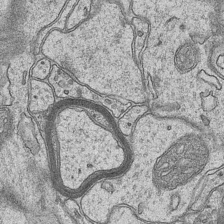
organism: Mouse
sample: CA1 Hippocampus